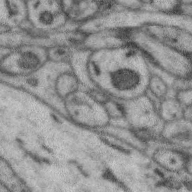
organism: Zebra finch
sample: Brain